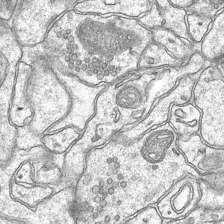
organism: Mouse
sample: CA1 Hippocampus